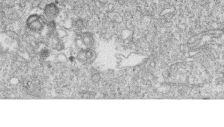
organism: Human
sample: HeLa cell HIV synapse